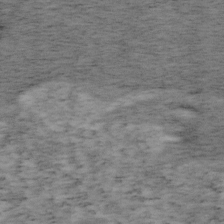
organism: Mouse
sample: OT-I killer T cells with ID8 ovarian cancer cells